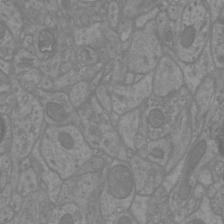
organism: Mouse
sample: Cortical neurons